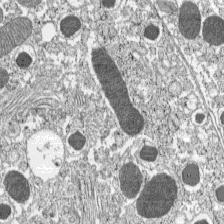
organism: C57BL Mouse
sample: Pancreatic islet